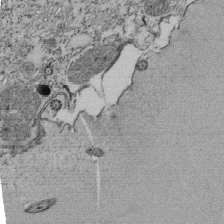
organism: Tetrahymena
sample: Cilia in tetrahymena